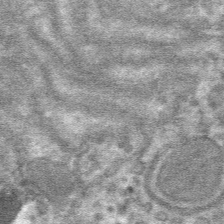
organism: Mouse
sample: Mouse hepatocytes